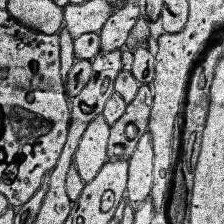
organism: Human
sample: Temporal Lobe